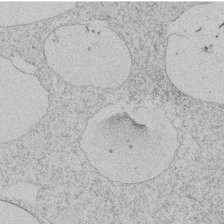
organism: Tetrahymena